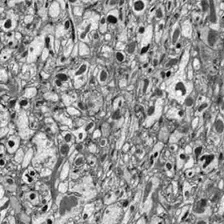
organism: Drosophila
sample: Optic lobe